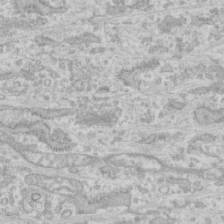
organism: Human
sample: CRL-1474